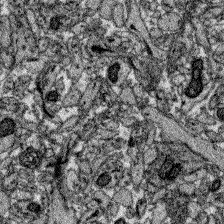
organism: Zebrafish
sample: Larval olfactory bulb